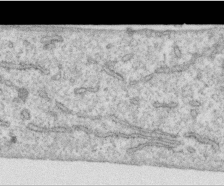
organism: Human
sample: Centriole in RPE cells